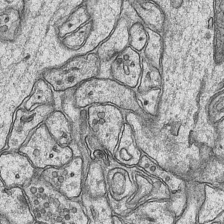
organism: Mouse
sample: CA1 Hippocampus